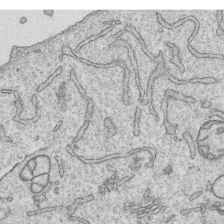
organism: Human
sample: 1205lu cells